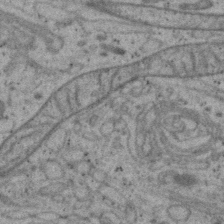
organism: Human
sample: HeLa cells